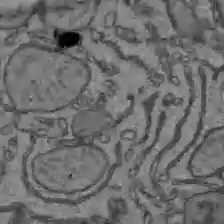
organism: C57BL Mouse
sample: Liver